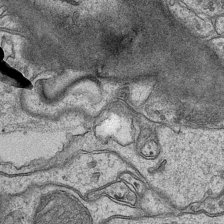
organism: Mouse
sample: CA1 Hippocampus